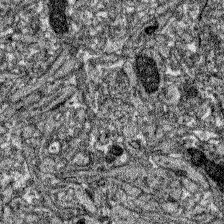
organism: Zebrafish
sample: Larval olfactory bulb